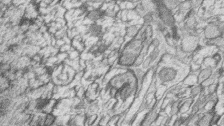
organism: Zebrafish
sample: synaptic ribbons in rod cells and cone cells